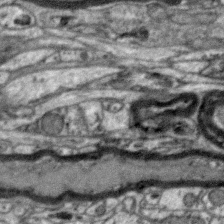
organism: Zebra finch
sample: Brain